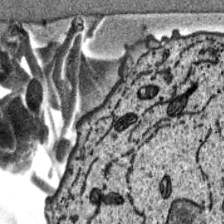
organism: Human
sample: HeLa cells